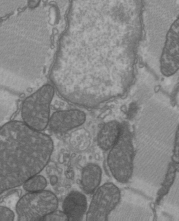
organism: C57BL Mouse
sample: Heart